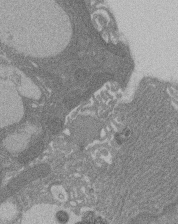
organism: Rat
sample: Salivary granule